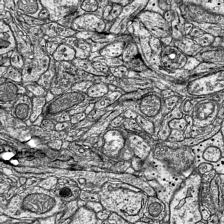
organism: Mouse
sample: Visual Cortex